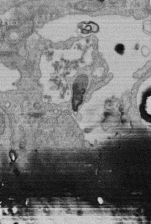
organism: Human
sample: Retinal organoid Rod and Cone cells